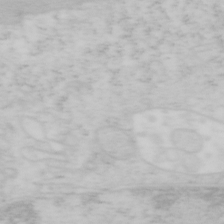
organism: Mouse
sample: OT-I killer T cells with ID8 ovarian cancer cells